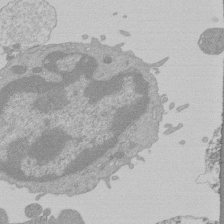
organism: Mouse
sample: Activated Pmel transgenic CD8+ T Cells